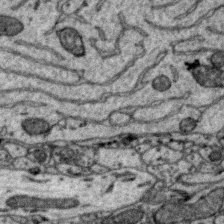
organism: Zebra finch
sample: Brain